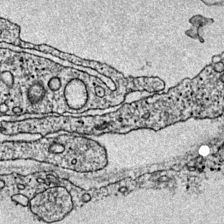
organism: Mouse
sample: Primary visual cortex